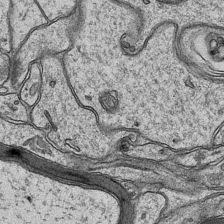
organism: Mouse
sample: CA1 Hippocampus